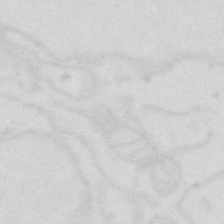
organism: Human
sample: HeLa cells